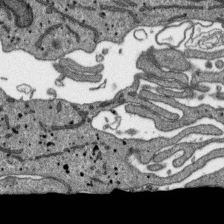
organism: Human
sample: Lung epithelial cells, uninfected (mock) control